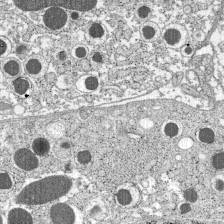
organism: C57BL Mouse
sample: Pancreatic islet